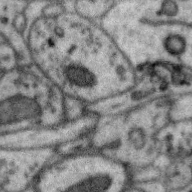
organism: Zebra finch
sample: Brain